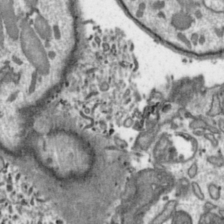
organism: Toxoplasma gondii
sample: Parasites in a vacuole inside a host cell